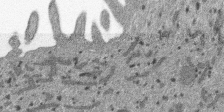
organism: Human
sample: Lung epithelial cells infected with SARS-CoV-2